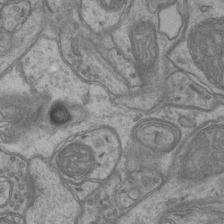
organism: Mouse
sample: CA1 Hippocampus